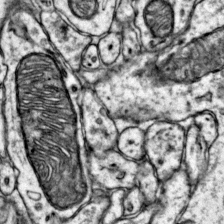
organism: Mouse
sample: Primary visual cortex